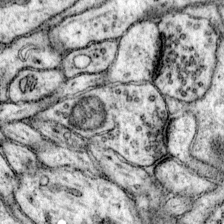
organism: Mouse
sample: Primary visual cortex